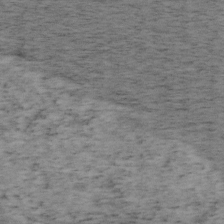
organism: Mouse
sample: OT-I killer T cells with ID8 ovarian cancer cells